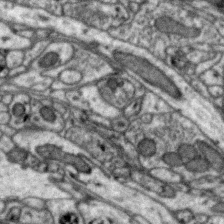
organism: Zebra finch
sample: Brain